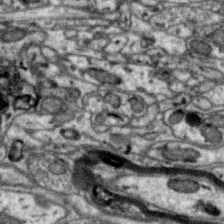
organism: Zebra finch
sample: Brain